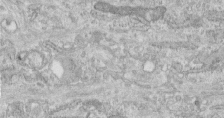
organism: Human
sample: Centriole in fibroblast cells